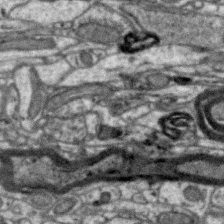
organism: Zebra finch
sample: Brain